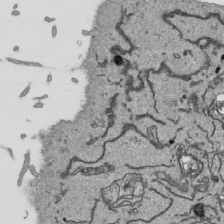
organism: Human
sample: Mitochondria in HCT116 cells